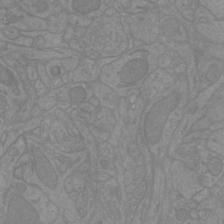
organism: Mouse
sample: Cortical neurons